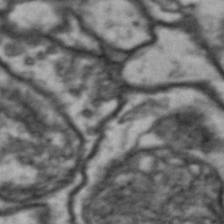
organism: Drosophila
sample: Brain